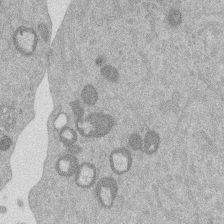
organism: Mouse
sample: Dividing mouse embryo 1 cell stage